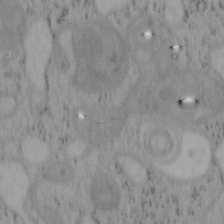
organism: Mouse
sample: OT-I killer T cells with ID8 ovarian cancer cells